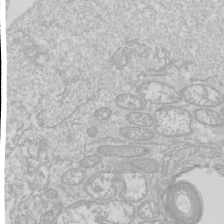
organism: Drosophila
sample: Cell division; meiosis; drosophila spermatocytes